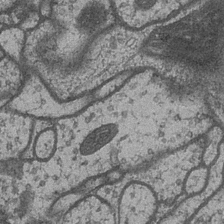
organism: Drosophila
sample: Optic medulla